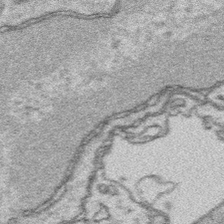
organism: Platynereis dumerilii